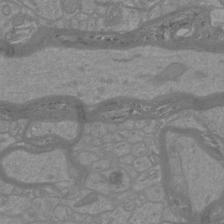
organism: Mouse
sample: Cortical neurons